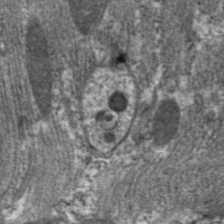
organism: C. elegans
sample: Pharynx